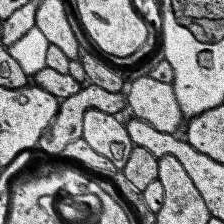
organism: Human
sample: Temporal Lobe